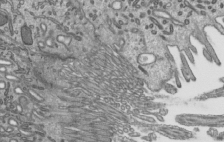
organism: Mouse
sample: Mouse epididymis efferent ductule cilia